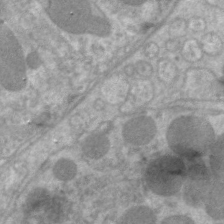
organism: C. elegans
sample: Pharynx